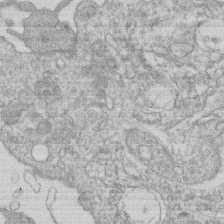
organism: Human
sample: Macrophage cells